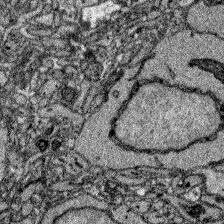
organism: Zebrafish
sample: Larval olfactory bulb